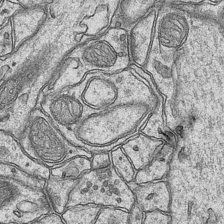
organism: Mouse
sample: CA1 Hippocampus